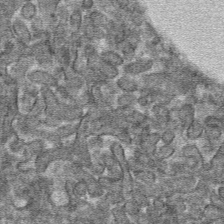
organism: Mouse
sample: Mouse hepatocytes